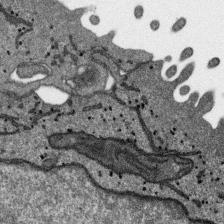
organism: Human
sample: Lung epithelial cells, uninfected (mock) control